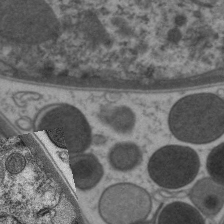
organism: C. elegans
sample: Pharynx